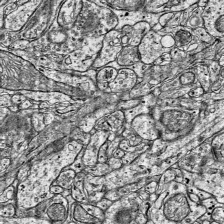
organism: Mouse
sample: Visual Cortex